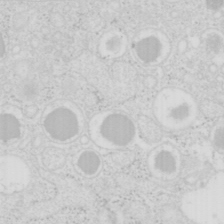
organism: Mouse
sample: Pancreas